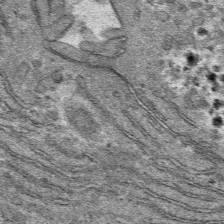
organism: Mouse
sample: Mouse hepatocytes